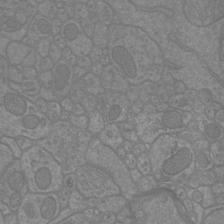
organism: Mouse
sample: Cortical neurons